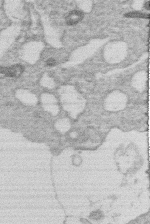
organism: Human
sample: Macrophage cells